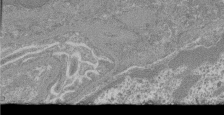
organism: Mouse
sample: Glomerulus